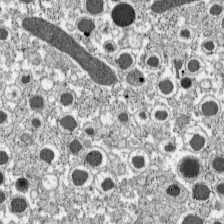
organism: C57BL Mouse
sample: Pancreatic islet